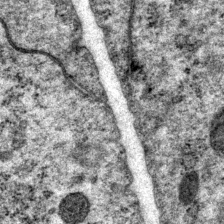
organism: P. pacificus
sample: Pharynx